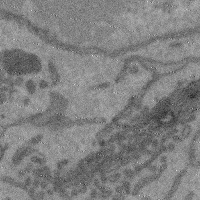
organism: Mouse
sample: Cerebral cortex